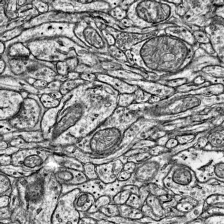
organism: Mouse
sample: Visual Cortex